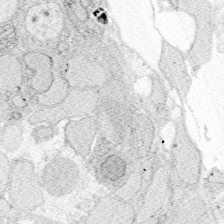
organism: Zebrafish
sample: Whole-Brain